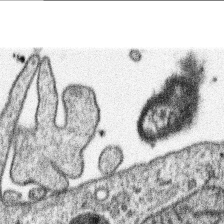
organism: Human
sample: HeLa cells